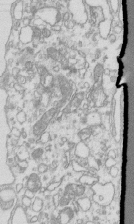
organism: Mouse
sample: Macrophages